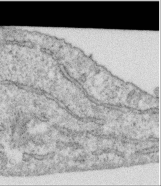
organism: Human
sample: Centriole in RPE cells